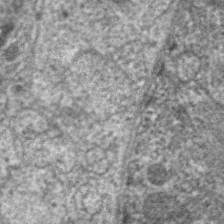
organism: C. elegans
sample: Pharynx